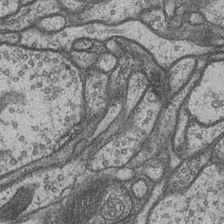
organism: Drosophila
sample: Optic medulla